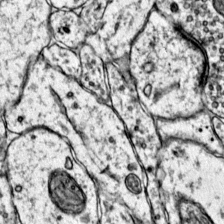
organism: Mouse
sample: Primary visual cortex